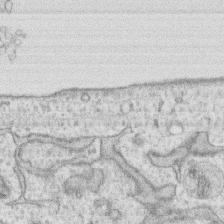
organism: Human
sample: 1205lu cells